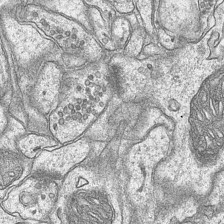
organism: Mouse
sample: CA1 Hippocampus